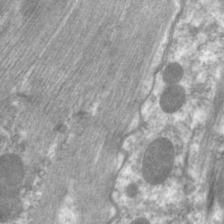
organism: C. elegans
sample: Pharynx